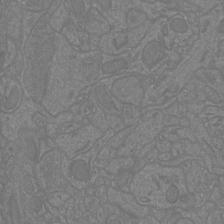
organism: Mouse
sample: Cortical neurons